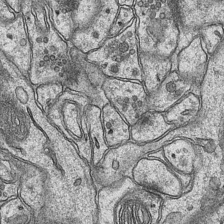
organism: Mouse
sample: CA1 Hippocampus